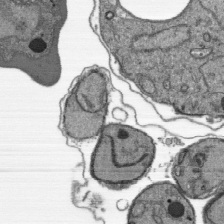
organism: Plasmodium falciparum